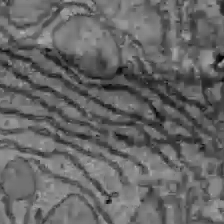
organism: C57BL Mouse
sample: Liver